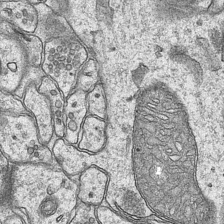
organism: Mouse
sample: CA1 Hippocampus